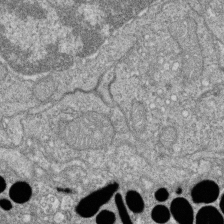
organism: Zebrafish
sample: Cilia; retinal pigment epithelium